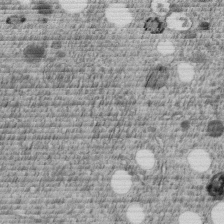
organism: C. elegans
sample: C. elegans embryo early stage